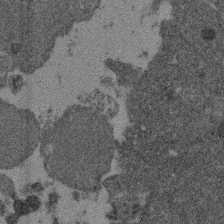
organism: Mouse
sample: Dividing mouse embryo 1 cell stage